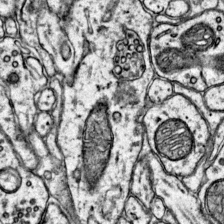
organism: Mouse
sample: Primary visual cortex